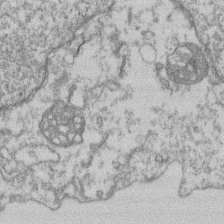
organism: Mouse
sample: T cell stromal cell synapse